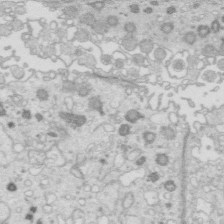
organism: Mouse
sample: Multiciliated cells